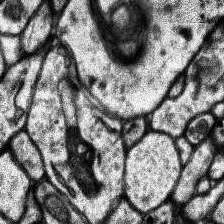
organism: Human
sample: Temporal Lobe